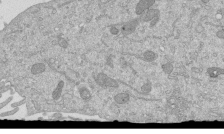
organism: Mouse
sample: ED-1 cell nuclei; centrioles